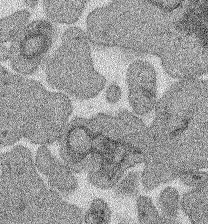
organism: Human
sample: HeLa cells